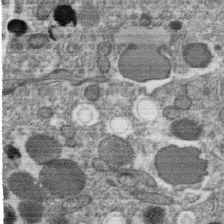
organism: C. elegans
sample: C. elegans oocyte; sperm cells